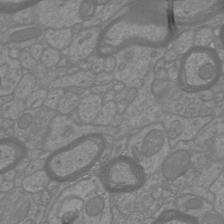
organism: Mouse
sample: Cortical neurons